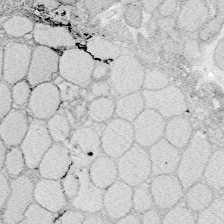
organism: Zebrafish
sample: Whole-Brain